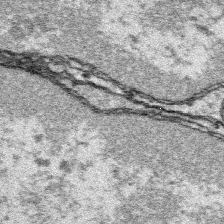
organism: Platynereis dumerilii